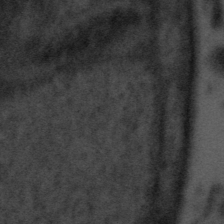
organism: Tuwongella immobilis